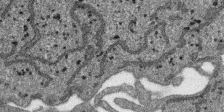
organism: Human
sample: Lung epithelial cells infected with SARS-CoV-2